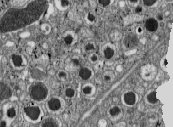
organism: C57BL Mouse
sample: Pancreatic islet